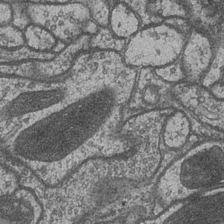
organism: Drosophila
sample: Optic medulla